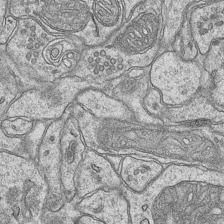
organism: Mouse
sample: CA1 Hippocampus